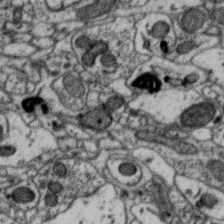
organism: Zebra finch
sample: Brain